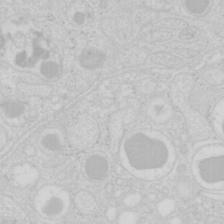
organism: Mouse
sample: Pancreas